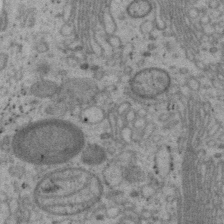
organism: Human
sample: HeLa cells